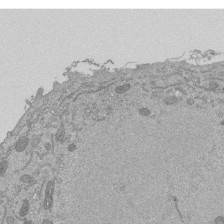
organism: Mouse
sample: ED-1 cell nuclei; centrioles